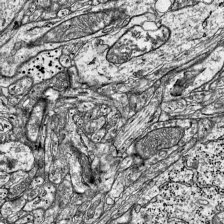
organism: Mouse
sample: Visual Cortex